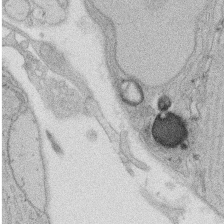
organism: Rat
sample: Salivary granule